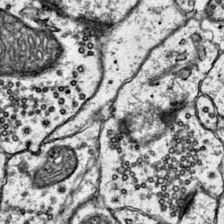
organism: Mouse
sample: Primary visual cortex